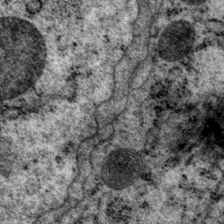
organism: P. pacificus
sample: Pharynx